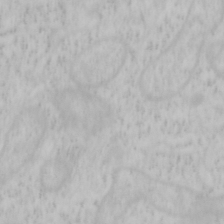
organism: Mouse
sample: OT-I killer T cells with ID8 ovarian cancer cells